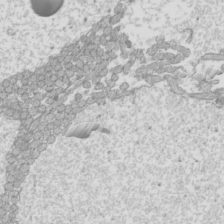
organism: Mouse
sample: Cilia; mouse epididymis